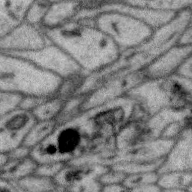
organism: Zebra finch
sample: Brain